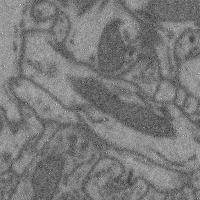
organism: Mouse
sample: Cerebral cortex